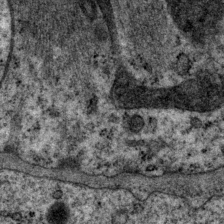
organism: P. pacificus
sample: Pharynx